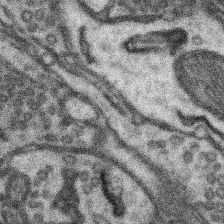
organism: Mouse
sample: Somatosensory cortex neuropil